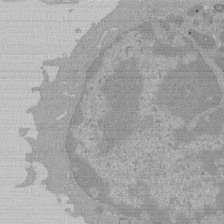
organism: Mouse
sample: Activated Pmel transgenic CD8+ T Cells